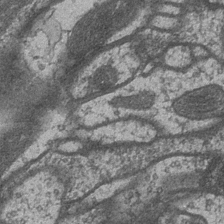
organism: Drosophila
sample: Optic medulla